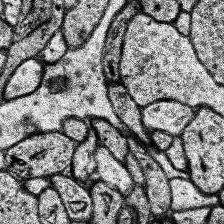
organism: Human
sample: Temporal Lobe